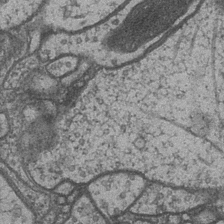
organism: Drosophila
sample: Optic medulla